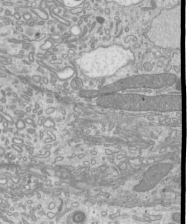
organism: Mouse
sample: Cilia; mouse epididymis